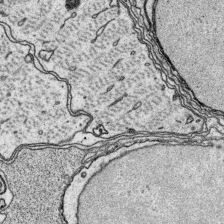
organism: Platynereis dumerilii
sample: Parapodia